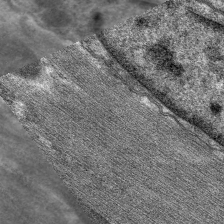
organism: C. elegans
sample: Pharynx